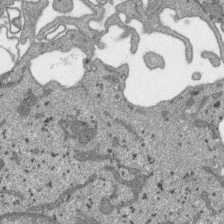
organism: Human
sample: Lung epithelial cells infected with SARS-CoV-2